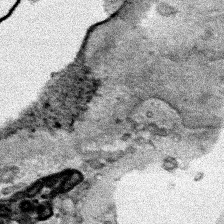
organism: Human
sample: Mitochondria in HCT116 cells